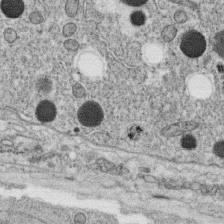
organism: C. elegans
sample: C. elegans oocyte; sperm cells